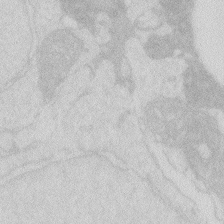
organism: Zebrafish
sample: Macrophage